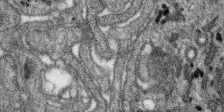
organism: Human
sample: Lung epithelial cells infected with SARS-CoV-2